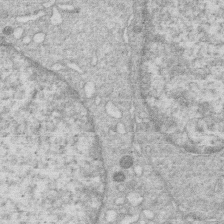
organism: Human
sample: Macrophage cells